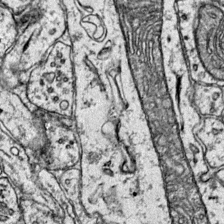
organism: Mouse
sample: Primary visual cortex